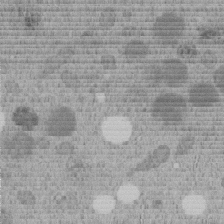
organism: C. elegans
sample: C. elegans embryo early stage